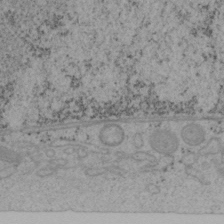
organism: Human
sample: HeLa cells